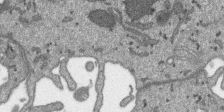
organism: Human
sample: Lung epithelial cells infected with SARS-CoV-2